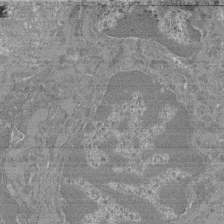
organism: Mouse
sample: Glomerulus